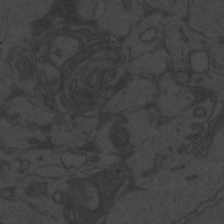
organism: Zebrafish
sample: Macrophage infected with Toxoplasma gondii